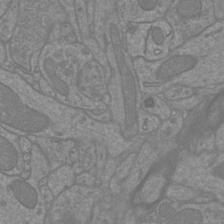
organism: Mouse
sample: Cortical neurons